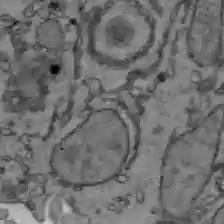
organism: C57BL Mouse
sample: Liver